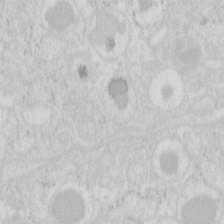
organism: Mouse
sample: Pancreas